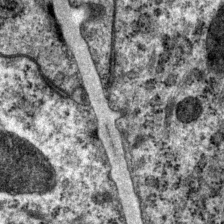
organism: P. pacificus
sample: Pharynx